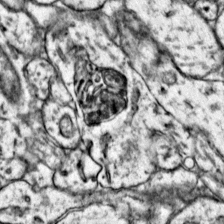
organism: Mouse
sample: Primary visual cortex